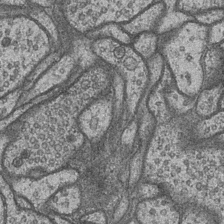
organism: Drosophila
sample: Optic medulla